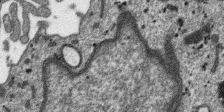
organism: Human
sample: Lung epithelial cells infected with SARS-CoV-2